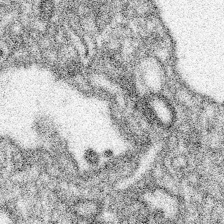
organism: Spongilla lacustris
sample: Neuroid cell